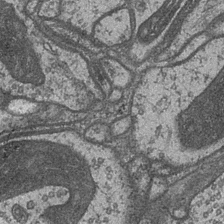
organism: Drosophila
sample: Optic medulla